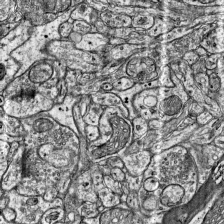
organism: Mouse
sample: Visual Cortex